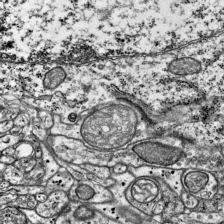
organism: Mouse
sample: Visual Cortex